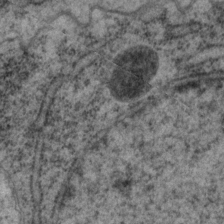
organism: P. pacificus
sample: Pharynx